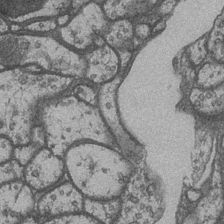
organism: Drosophila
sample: Optic medulla